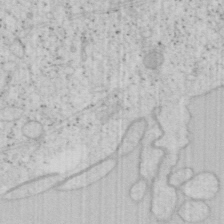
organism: Human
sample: HeLa cells